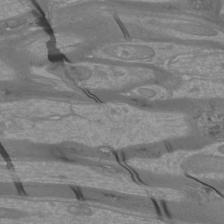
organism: Mouse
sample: Cortical neurons